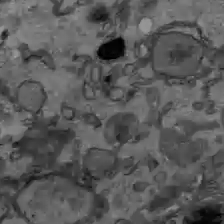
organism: C57BL Mouse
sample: Liver